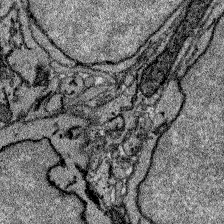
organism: Zebrafish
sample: Larval olfactory bulb